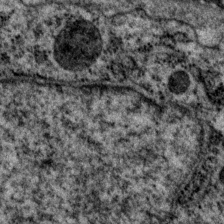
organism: P. pacificus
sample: Pharynx